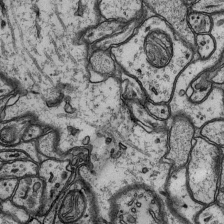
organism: Rat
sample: Hippocampus